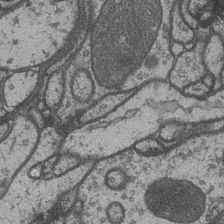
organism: Drosophila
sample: Optic medulla